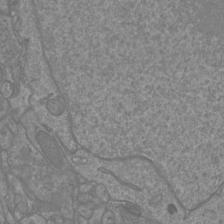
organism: Mouse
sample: Cortical neurons